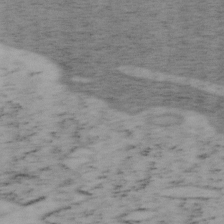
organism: Mouse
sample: OT-I killer T cells with ID8 ovarian cancer cells